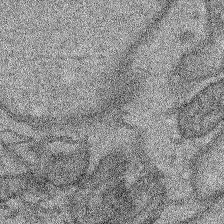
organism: Human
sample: HeLa cells